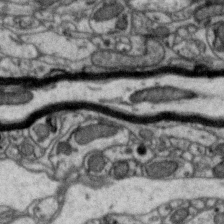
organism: Zebra finch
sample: Brain